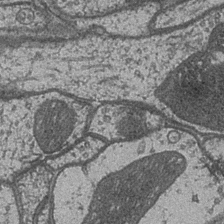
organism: Drosophila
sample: Optic medulla